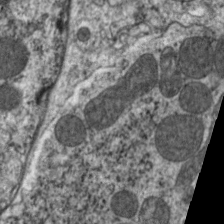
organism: C. elegans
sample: Pharynx